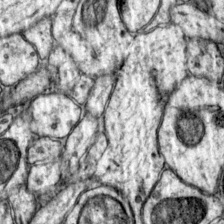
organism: Mouse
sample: Primary visual cortex